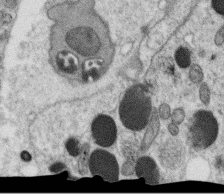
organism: C. elegans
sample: C. elegans oocyte; sperm cells